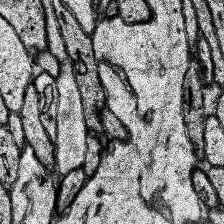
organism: Human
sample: Temporal Lobe